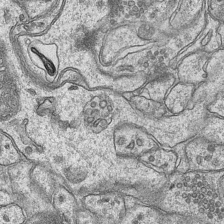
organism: Mouse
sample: CA1 Hippocampus